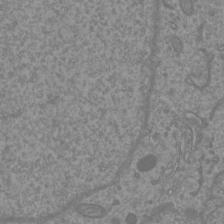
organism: Mouse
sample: Cortical neurons